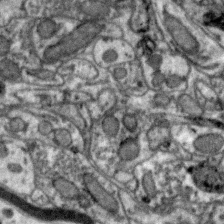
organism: Zebra finch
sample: Brain